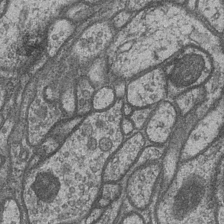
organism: Drosophila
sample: Optic medulla